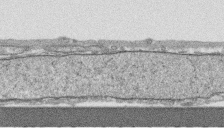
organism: Human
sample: CRL-1474